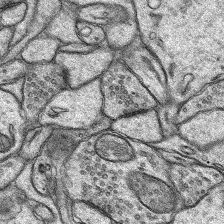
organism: Rat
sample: Hippocampus